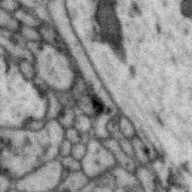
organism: Zebra finch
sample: Brain